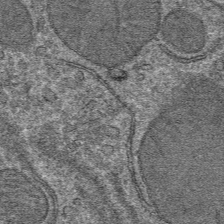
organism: Mouse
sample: Mouse hepatocytes